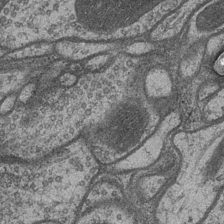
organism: Drosophila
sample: Optic medulla